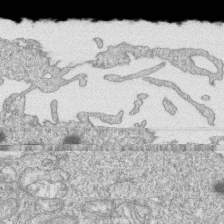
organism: Human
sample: HeLa cell HIV synapse